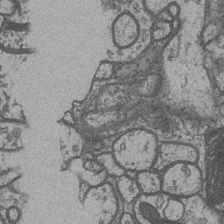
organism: Drosophila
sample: Optic medulla